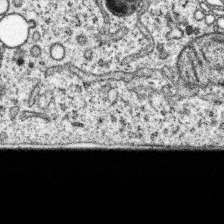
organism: Human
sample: HeLa cells